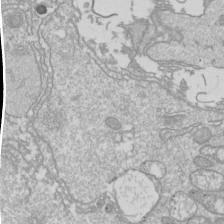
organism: Drosophila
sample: Cell division; meiosis; drosophila spermatocytes